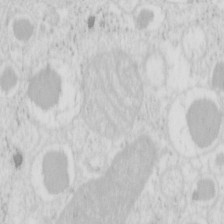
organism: Mouse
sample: Pancreas